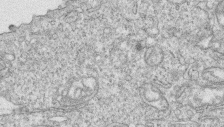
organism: Human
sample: HeLa cell HIV synapse